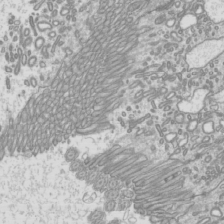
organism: Mouse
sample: Cilia; mouse epididymis